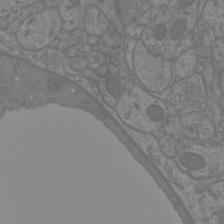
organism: Mouse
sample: Cortical neurons